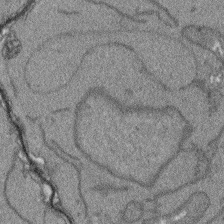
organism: Arabidopsis thaliana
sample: Root tip